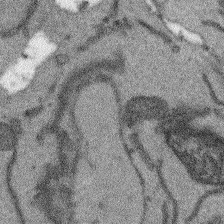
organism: Arabidopsis thaliana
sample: Root tip